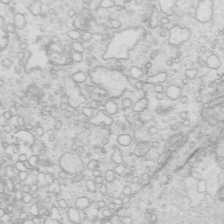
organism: Mouse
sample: Multiciliated cells